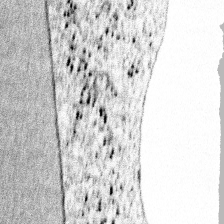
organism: Human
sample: HeLa cells